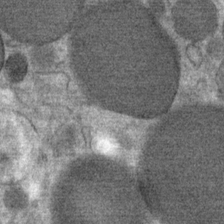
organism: Mouse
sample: Mouse Salivary gland